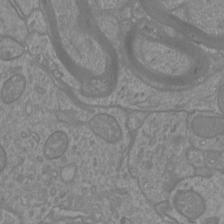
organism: Mouse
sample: Cortical neurons